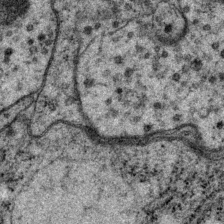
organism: P. pacificus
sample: Pharynx